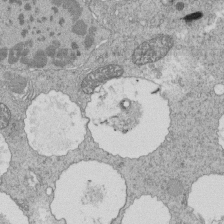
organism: Tetrahymena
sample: Cilia in tetrahymena